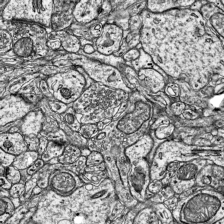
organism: Mouse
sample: Visual Cortex